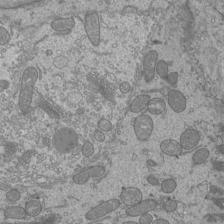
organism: Mouse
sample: Cilia; mouse epididymis